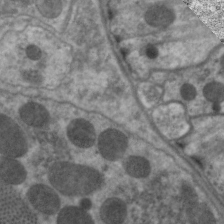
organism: C. elegans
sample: Pharynx